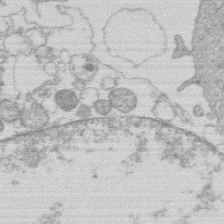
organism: Human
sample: Macrophage cells